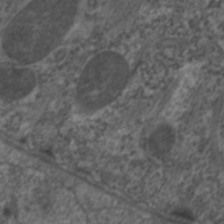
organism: C. elegans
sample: Pharynx